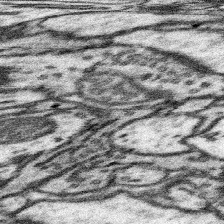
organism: Mouse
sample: Somatosensory cortex neuropil